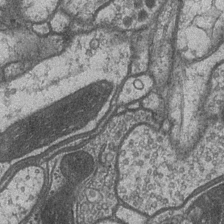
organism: Drosophila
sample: Optic medulla